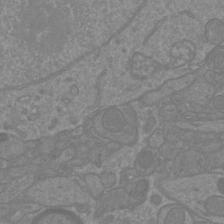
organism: Mouse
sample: Cortical neurons